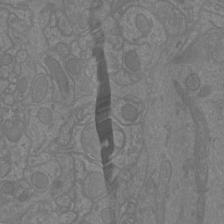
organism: Mouse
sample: Cortical neurons